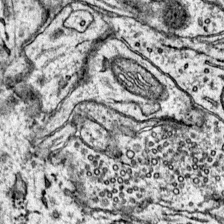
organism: Mouse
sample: Primary visual cortex